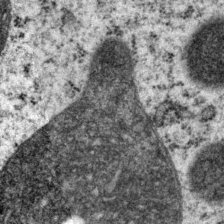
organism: P. pacificus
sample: Pharynx